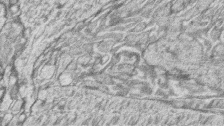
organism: Zebrafish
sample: synaptic ribbons in rod cells and cone cells